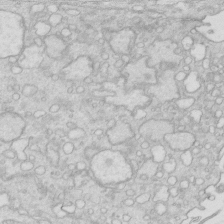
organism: Mouse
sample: Multiciliated cells